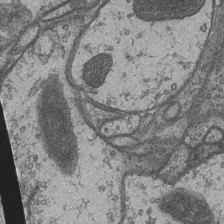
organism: Drosophila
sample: Optic medulla